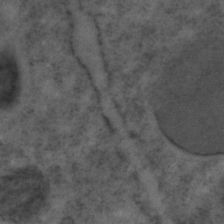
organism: C. elegans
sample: C. elegans embryo